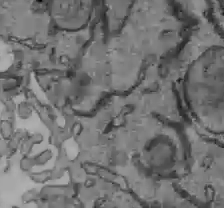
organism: C57BL Mouse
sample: Liver